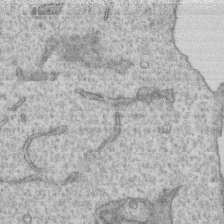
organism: Human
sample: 1205lu cells